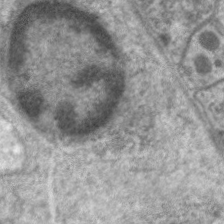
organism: C. elegans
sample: Pharynx